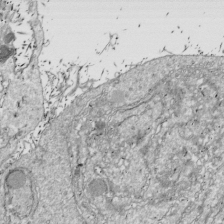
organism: Drosophila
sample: Cell division; meiosis; drosophila spermatocytes